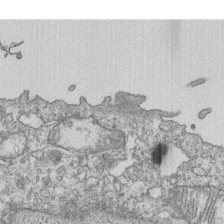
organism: Human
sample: HeLa cell HIV synapse